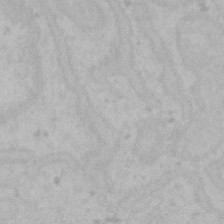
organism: Mouse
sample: Choroid plexus